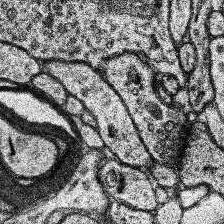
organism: Human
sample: Temporal Lobe